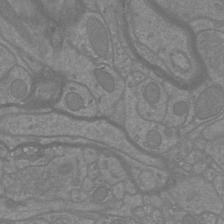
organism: Mouse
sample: Cortical neurons